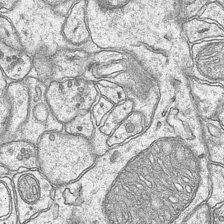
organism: Mouse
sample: CA1 Hippocampus